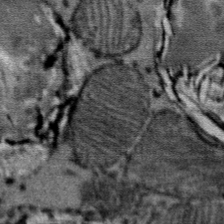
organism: Mouse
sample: Mouse Salivary gland